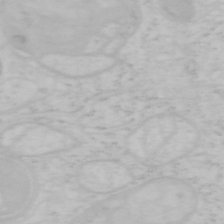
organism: Mouse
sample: OT-I killer T cells with ID8 ovarian cancer cells